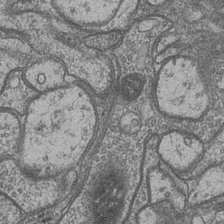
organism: Drosophila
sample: Optic medulla